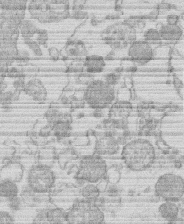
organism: Human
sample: Macrophage cells